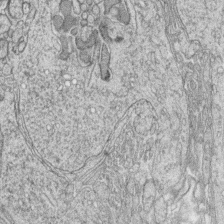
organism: Zebrafish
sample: synaptic ribbons in rod cells and cone cells